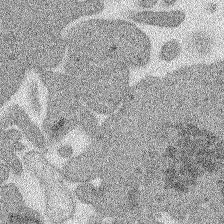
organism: Human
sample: HeLa cells